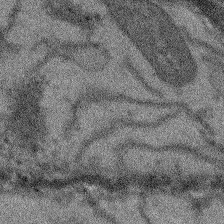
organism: Arabidopsis thaliana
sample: Root tip